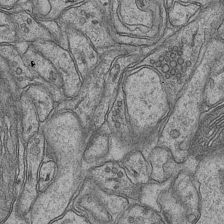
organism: Mouse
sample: CA1 Hippocampus